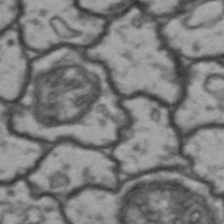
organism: Drosophila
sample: Brain